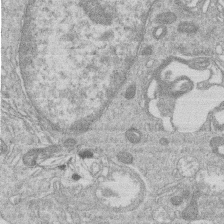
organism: Human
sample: Macrophage cells